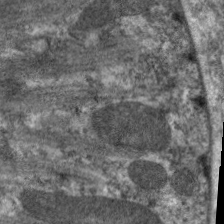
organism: C. elegans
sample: Pharynx